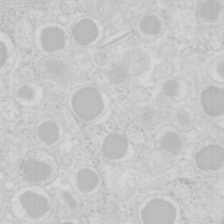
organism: Mouse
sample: Pancreas